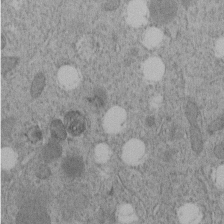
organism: C. elegans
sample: C. elegans embryo early stage